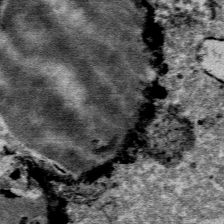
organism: Mouse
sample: Mouse Salivary gland